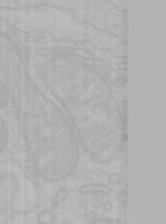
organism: Mouse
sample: Choroid plexus